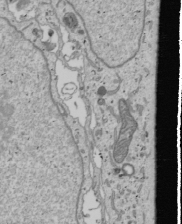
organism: Human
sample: Mitochondria in U2OS cells